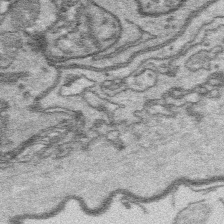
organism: Platynereis dumerilii